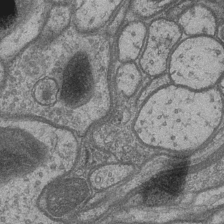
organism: Drosophila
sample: Optic medulla